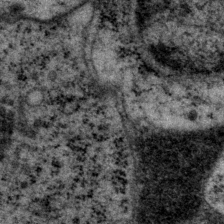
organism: P. pacificus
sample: Pharynx